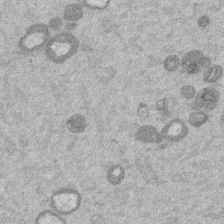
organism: Mouse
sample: Dividing mouse embryo 1 cell stage